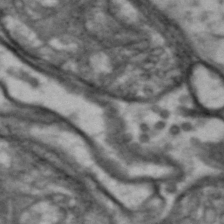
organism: Drosophila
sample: Brain